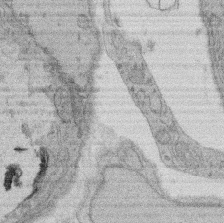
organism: Rat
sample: Salivary granule